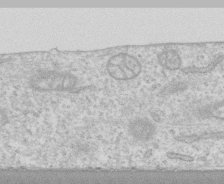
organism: Human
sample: CRL-1474